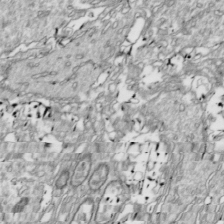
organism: Drosophila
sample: Cell division; meiosis; drosophila spermatocytes